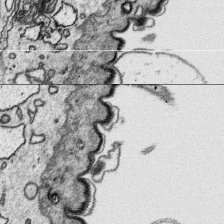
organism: Platynereis dumerilii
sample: Parapodia